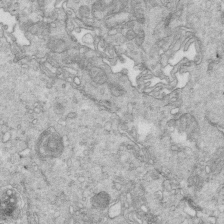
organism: Mouse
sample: Multiciliated cells